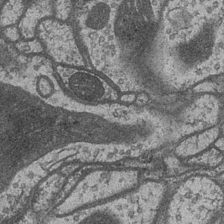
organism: Drosophila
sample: Optic medulla